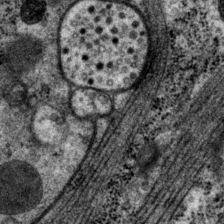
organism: P. pacificus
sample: Pharynx